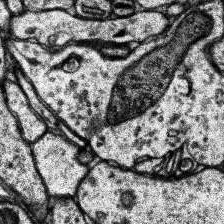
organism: Human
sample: Temporal Lobe